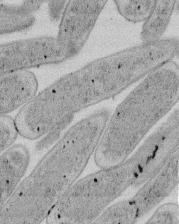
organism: E. coli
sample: Bacterial nucleoid